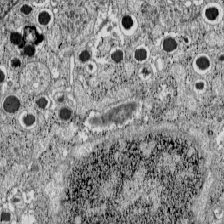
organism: C57BL Mouse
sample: Pancreatic islet